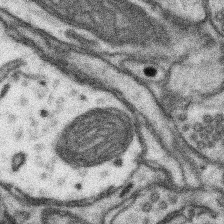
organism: Mouse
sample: Somatosensory cortex neuropil